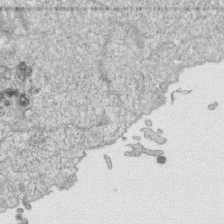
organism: Human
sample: HeLa cell HIV synapse